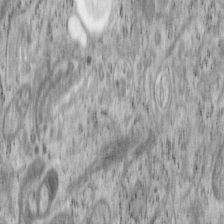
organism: Human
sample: HeLa cells